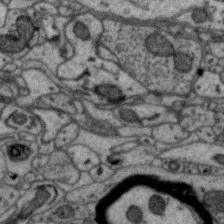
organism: Zebra finch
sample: Brain